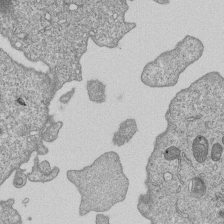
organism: Human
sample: MDA-MB-231 cells